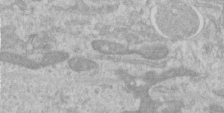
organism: Human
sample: Centriole in RPE cells